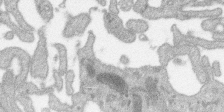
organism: Human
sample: Lung epithelial cells infected with SARS-CoV-2